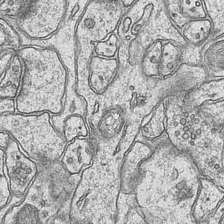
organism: Mouse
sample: CA1 Hippocampus